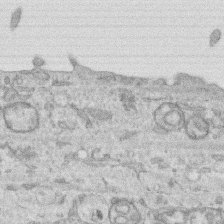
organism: Human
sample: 1205lu cells